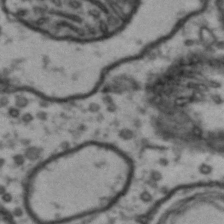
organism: Drosophila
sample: Brain